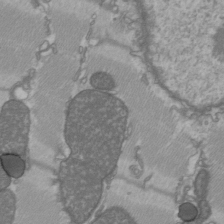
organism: C57BL Mouse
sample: Heart